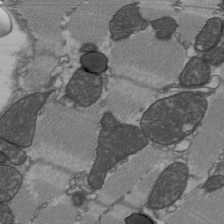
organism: C57BL Mouse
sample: Heart